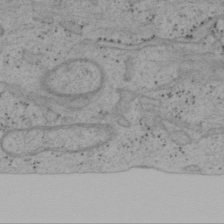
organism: Human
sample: HeLa cells